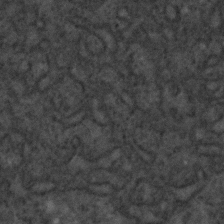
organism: C. elegans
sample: C. elegans embryo